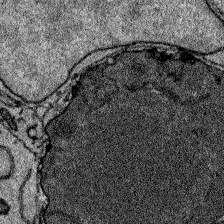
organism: Zebrafish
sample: Larval olfactory bulb